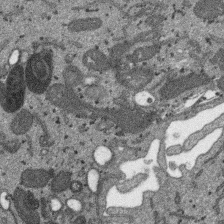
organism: Human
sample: Lung epithelial cells infected with SARS-CoV-2